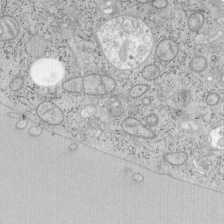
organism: Mouse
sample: OT-I killer T cells with ID8 ovarian cancer cells